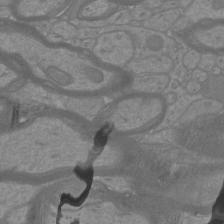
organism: Mouse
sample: Cortical neurons